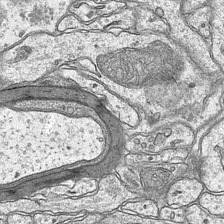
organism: Mouse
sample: CA1 Hippocampus